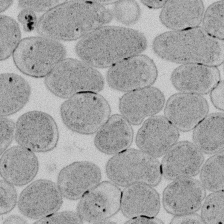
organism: E. coli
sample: Bacterial nucleoid